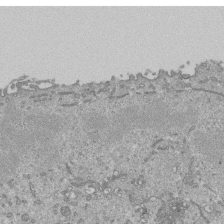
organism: Mouse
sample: ED-1 cell nuclei; centrioles